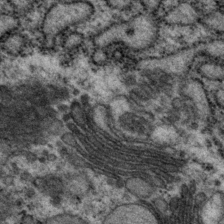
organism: P. pacificus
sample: Pharynx